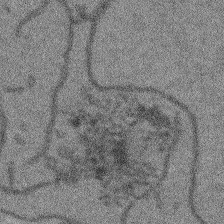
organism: Arabidopsis thaliana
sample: Root tip